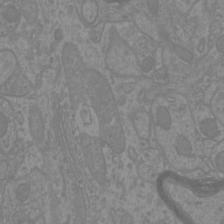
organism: Mouse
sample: Cortical neurons